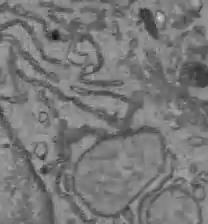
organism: C57BL Mouse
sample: Liver